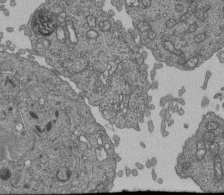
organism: Human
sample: Retinal organoid Rod and Cone cells